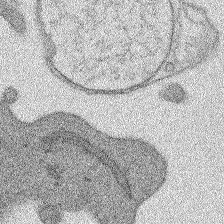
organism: Human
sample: HeLa cells